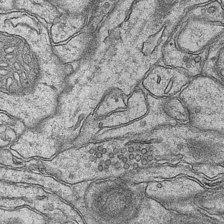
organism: Mouse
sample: CA1 Hippocampus